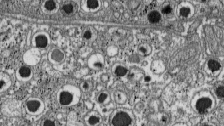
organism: C57BL Mouse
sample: Pancreatic islet